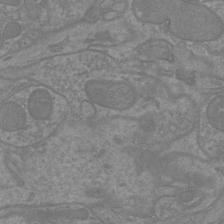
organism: Mouse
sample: Cortical neurons